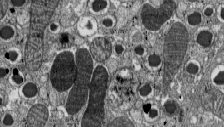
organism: C57BL Mouse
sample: Pancreatic islet